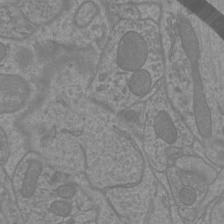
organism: Mouse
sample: Cortical neurons